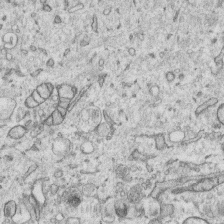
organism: Human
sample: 1205lu cells